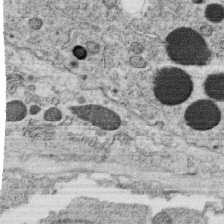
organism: C. elegans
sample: C. elegans oocyte; sperm cells